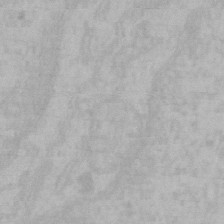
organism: Mouse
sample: Choroid plexus